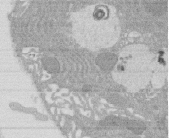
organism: Rat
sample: Salivary granule